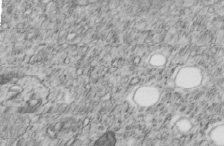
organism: C. elegans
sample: C. elegans embryo early stage